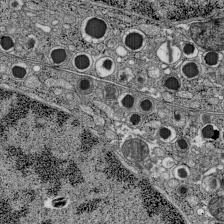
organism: C57BL Mouse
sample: Pancreatic islet